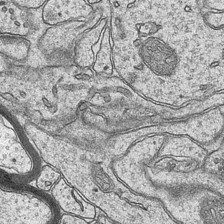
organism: Mouse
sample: CA1 Hippocampus